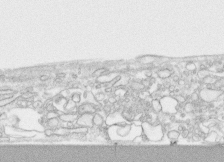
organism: Human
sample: CRL-1474